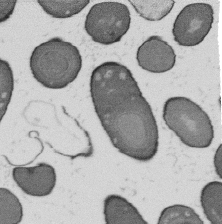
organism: B. subtilis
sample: Bacterial spore